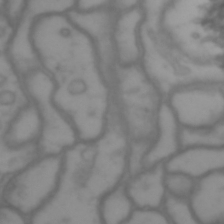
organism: Drosophila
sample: Brain